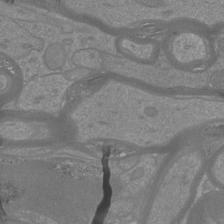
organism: Mouse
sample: Cortical neurons